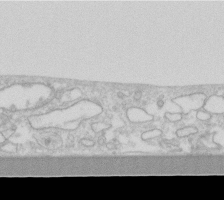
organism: Human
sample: Fibroblast cells